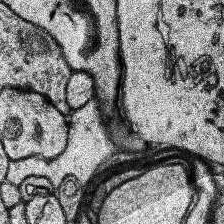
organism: Human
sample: Temporal Lobe